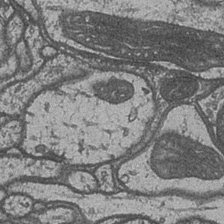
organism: Drosophila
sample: Optic medulla